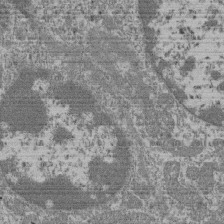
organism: Mouse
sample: Glomerulus